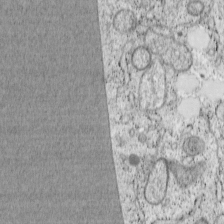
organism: African green monkey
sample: COS-7 cells